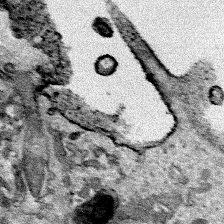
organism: Human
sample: Mitochondria in HCT116 cells